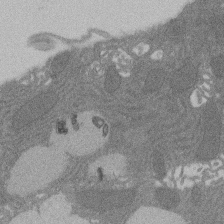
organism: Rat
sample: Salivary granule